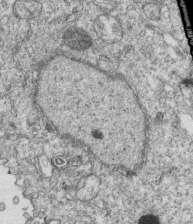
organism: Human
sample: HeLa cell HIV synapse